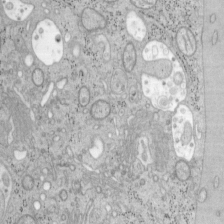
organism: Mouse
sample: OT-I killer T cells with ID8 ovarian cancer cells